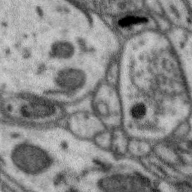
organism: Zebra finch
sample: Brain